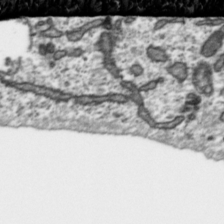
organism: Toxoplasma gondii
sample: Parasites in a vacuole inside a host cell